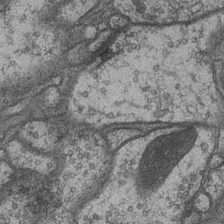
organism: Drosophila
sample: Optic medulla